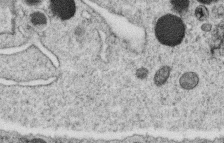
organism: C. elegans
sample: C. elegans oocyte; sperm cells